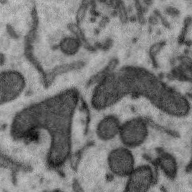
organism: Zebra finch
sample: Brain